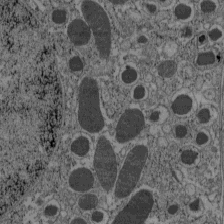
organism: C57BL Mouse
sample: Pancreatic islet